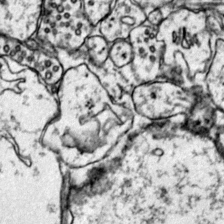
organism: Mouse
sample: Primary visual cortex